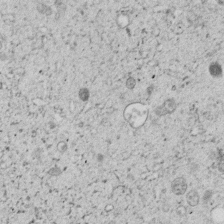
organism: C. elegans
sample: C. elegans embryo early stage